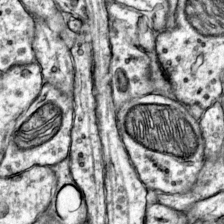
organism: Mouse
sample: Primary visual cortex